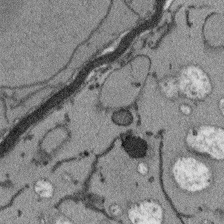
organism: Arabidopsis thaliana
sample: Root tip